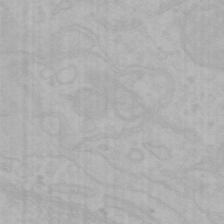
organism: Mouse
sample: Choroid plexus